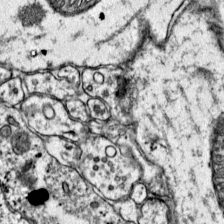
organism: Mouse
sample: Primary visual cortex